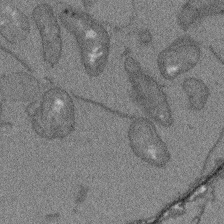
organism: Arabidopsis thaliana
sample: Root tip